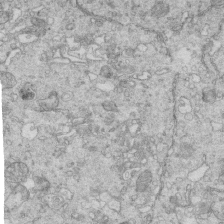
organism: Mouse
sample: Multiciliated cells